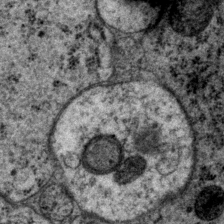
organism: P. pacificus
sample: Pharynx